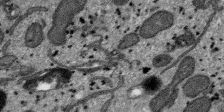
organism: Human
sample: Lung epithelial cells, uninfected (mock) control